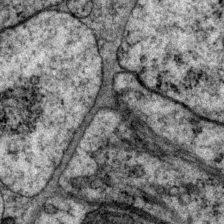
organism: P. pacificus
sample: Pharynx